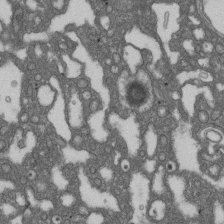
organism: Drosophila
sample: Nephrocyte